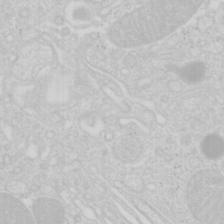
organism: Mouse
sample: Pancreas